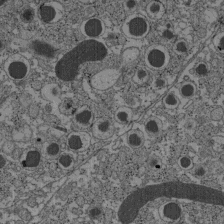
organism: C57BL Mouse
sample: Pancreatic islet